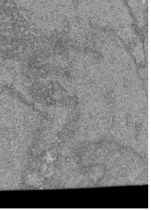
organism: Human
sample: Retinal organoid Rod and Cone cells